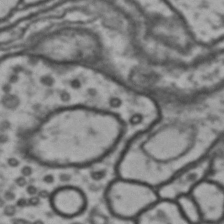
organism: Drosophila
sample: Brain